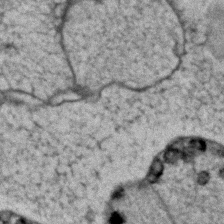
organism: Human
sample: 1205lu cells